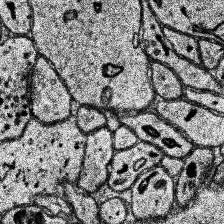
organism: Human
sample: Temporal Lobe